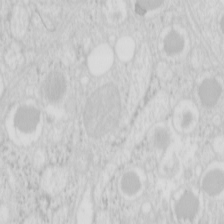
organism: Mouse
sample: Pancreas